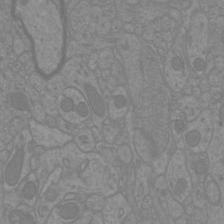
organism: Mouse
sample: Cortical neurons